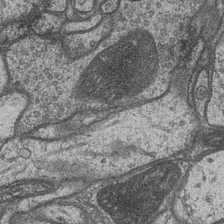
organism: Drosophila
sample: Optic medulla